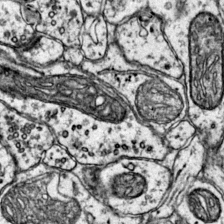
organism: Mouse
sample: Primary visual cortex